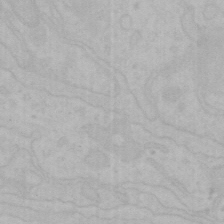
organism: Mouse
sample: Choroid plexus